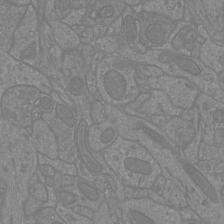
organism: Mouse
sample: Cortical neurons